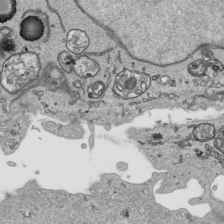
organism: Human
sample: Mitochondria in HCT116 cells